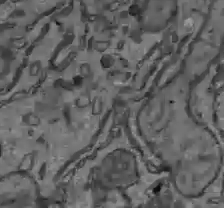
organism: C57BL Mouse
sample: Liver